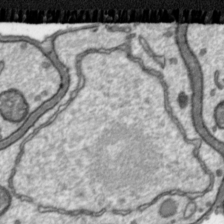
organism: Toxoplasma gondii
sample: Parasites in a vacuole inside a host cell